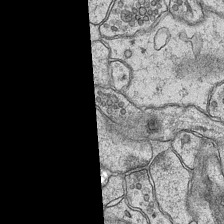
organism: Mouse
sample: CA1 Hippocampus